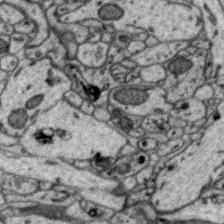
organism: Zebra finch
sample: Brain